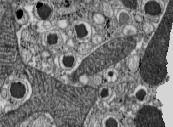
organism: C57BL Mouse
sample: Pancreatic islet